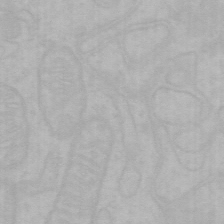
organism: Mouse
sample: Choroid plexus